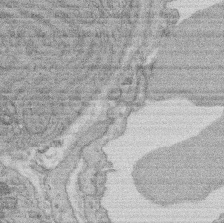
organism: Rat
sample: Salivary granule